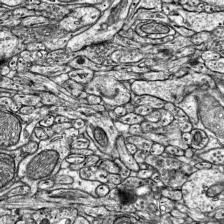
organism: Mouse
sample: Visual Cortex